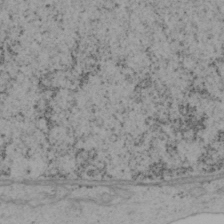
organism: Human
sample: HeLa cells